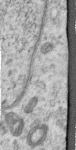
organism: Human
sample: Centriole in RPE cells